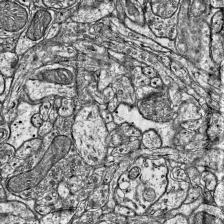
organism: Mouse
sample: Visual Cortex